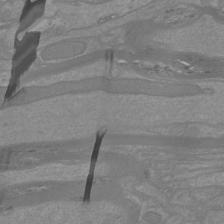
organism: Mouse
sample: Cortical neurons